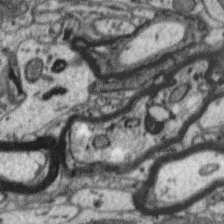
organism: Zebra finch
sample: Brain